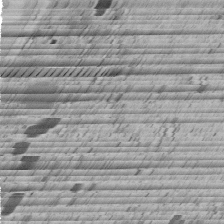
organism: C. elegans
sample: C. elegans embryo early stage